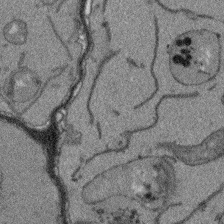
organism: Arabidopsis thaliana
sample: Root tip